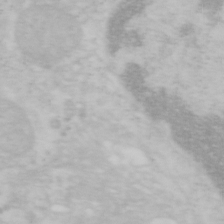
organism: Mouse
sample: OT-I killer T cells with ID8 ovarian cancer cells